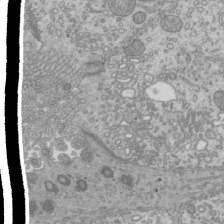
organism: Mouse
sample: Cilia; mouse epididymis